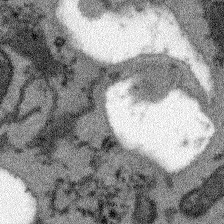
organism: Arabidopsis thaliana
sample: Root tip